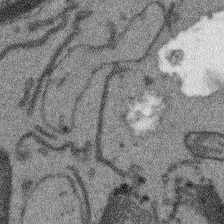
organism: Arabidopsis thaliana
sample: Root tip